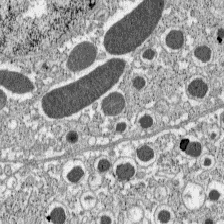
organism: C57BL Mouse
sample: Pancreatic islet